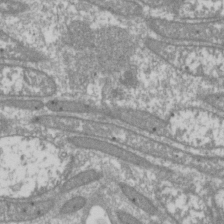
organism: Drosophila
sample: Cell division; meiosis; drosophila spermatocytes